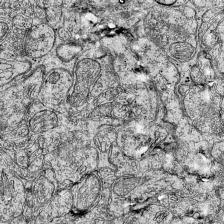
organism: Mouse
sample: Visual Cortex